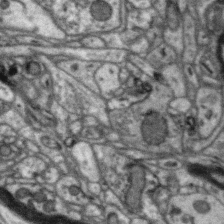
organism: Zebra finch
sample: Brain